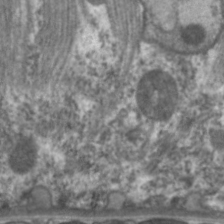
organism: C. elegans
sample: Pharynx